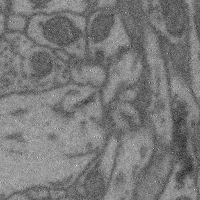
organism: Mouse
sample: Cerebral cortex